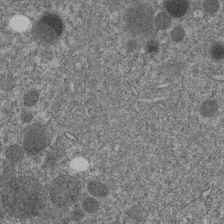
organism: C. elegans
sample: C. elegans embryo early stage